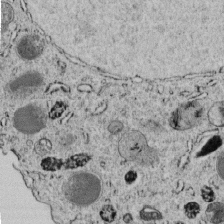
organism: C. elegans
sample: C. elegans embryo early stage